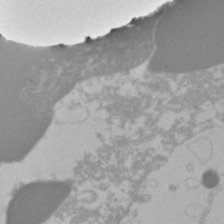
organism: Zebrafish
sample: Zebrafish embryo